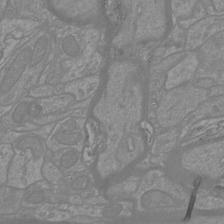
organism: Mouse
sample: Cortical neurons